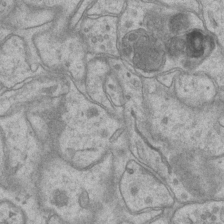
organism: Mouse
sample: CA1 Hippocampus